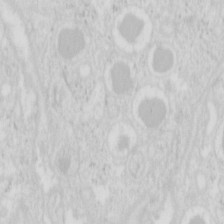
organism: Mouse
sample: Pancreas